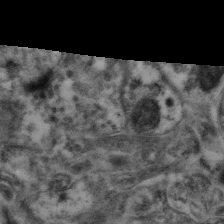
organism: Mouse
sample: Neocortex